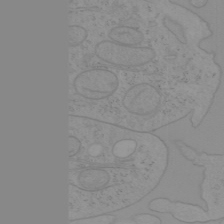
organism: Human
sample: HeLa cells